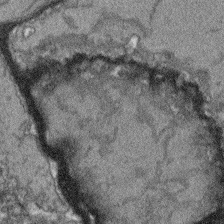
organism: Arabidopsis thaliana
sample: Root tip